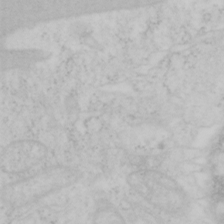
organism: Mouse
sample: OT-I killer T cells with ID8 ovarian cancer cells